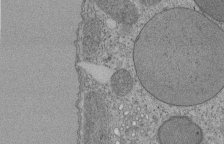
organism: Tetrahymena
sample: Cilia in tetrahymena